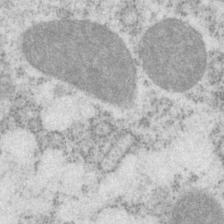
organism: P. pacificus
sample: Pharynx